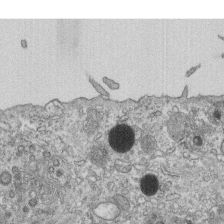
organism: Human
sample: HeLa cell HIV synapse